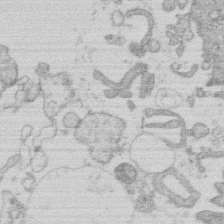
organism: Human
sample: Macrophage cells